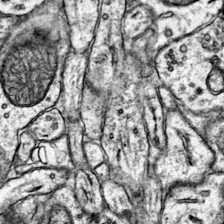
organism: Mouse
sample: Primary visual cortex